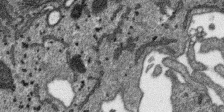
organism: Human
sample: Lung epithelial cells infected with SARS-CoV-2